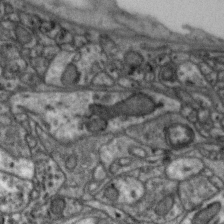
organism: Zebra finch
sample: Brain